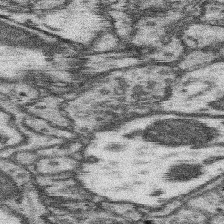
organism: Mouse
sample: Somatosensory cortex neuropil